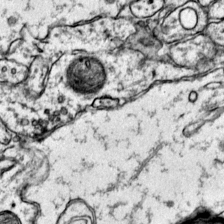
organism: Mouse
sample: Primary visual cortex